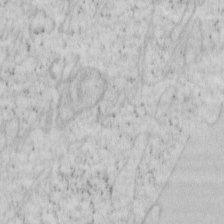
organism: Human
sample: HeLa cells